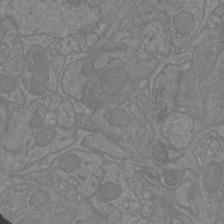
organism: Mouse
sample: Cortical neurons